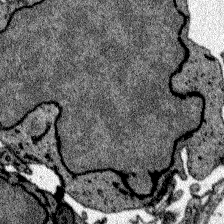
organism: Zebrafish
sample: Larval olfactory bulb